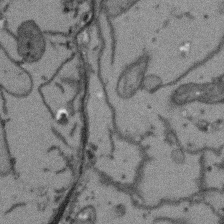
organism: Arabidopsis thaliana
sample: Root tip